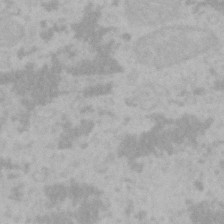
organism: Mouse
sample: Choroid plexus